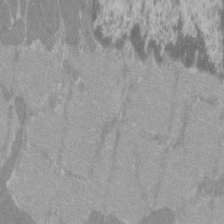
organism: C57BL Mouse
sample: Tibialis anterior muscle cell